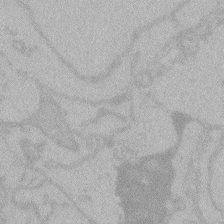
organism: Zebrafish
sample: Macrophage infected with Toxoplasma gondii